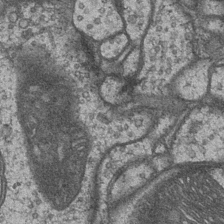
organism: Drosophila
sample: Optic medulla